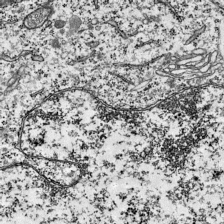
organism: Mouse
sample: Visual Cortex